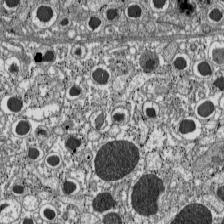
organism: C57BL Mouse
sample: Pancreatic islet